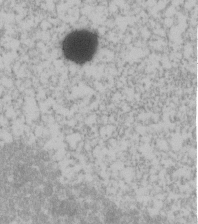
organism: Human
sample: U2-OS cells